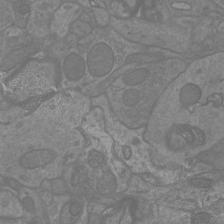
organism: Mouse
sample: Cortical neurons